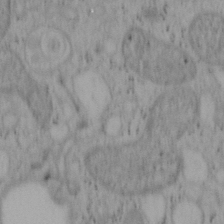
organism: Mouse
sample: OT-I killer T cells with ID8 ovarian cancer cells